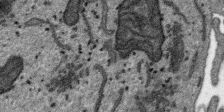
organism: Human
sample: Lung epithelial cells, uninfected (mock) control